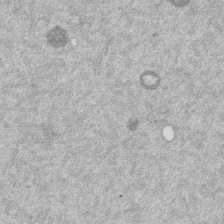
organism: Mouse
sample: Dividing mouse embryo 1 cell stage